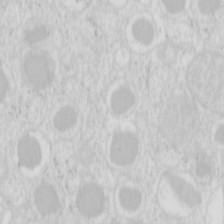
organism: Mouse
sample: Pancreas